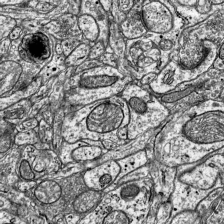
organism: Mouse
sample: Visual Cortex